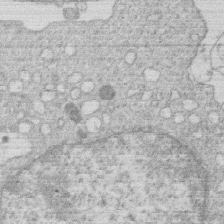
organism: Human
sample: Macrophage cells